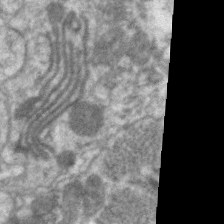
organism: C. elegans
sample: Pharynx